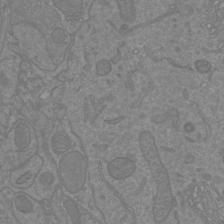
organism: Mouse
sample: Cortical neurons